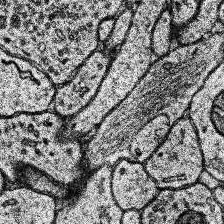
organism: Human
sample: Temporal Lobe